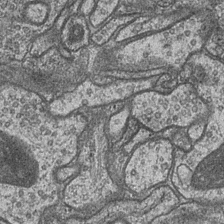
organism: Drosophila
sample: Optic medulla